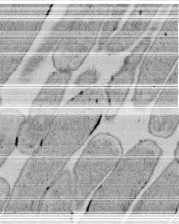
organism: E. coli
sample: Bacterial nucleoid